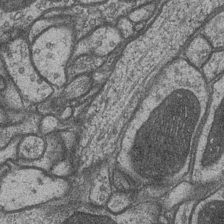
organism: Drosophila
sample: Optic medulla